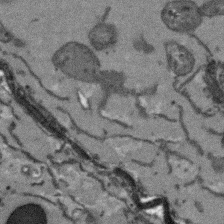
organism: Arabidopsis thaliana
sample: Root tip